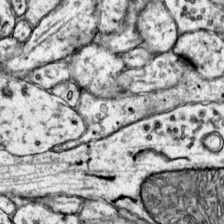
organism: Mouse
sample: Primary visual cortex